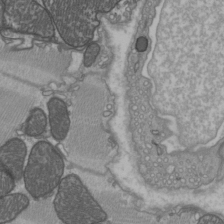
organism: C57BL Mouse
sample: Heart